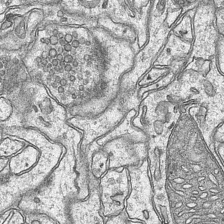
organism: Mouse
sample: CA1 Hippocampus